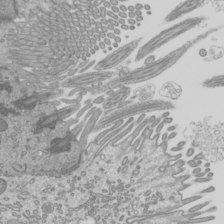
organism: Mouse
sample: Cilia; mouse epididymis